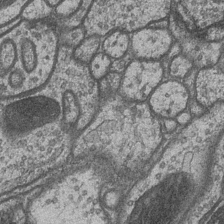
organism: Drosophila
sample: Optic medulla